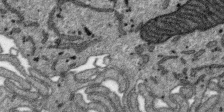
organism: Human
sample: Lung epithelial cells, uninfected (mock) control